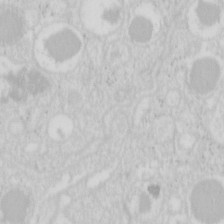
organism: Mouse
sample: Pancreas